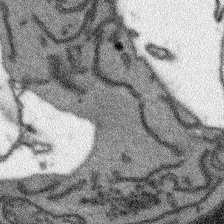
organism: Arabidopsis thaliana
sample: Root tip